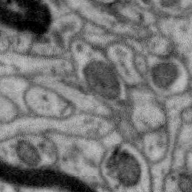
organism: Zebra finch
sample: Brain